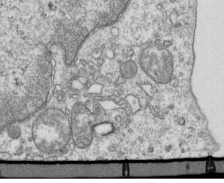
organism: Mouse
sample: Activated OT-1 CD8+ T cells